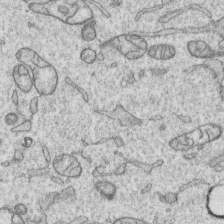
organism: Human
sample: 1205lu cells